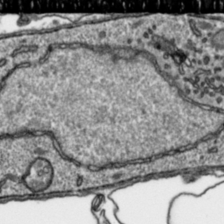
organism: Toxoplasma gondii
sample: Parasites in a vacuole inside a host cell